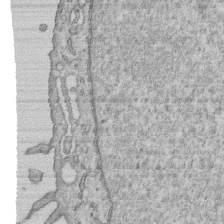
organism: Human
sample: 1205lu cells